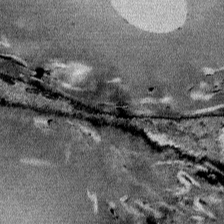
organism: Mouse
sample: Mouse Salivary gland